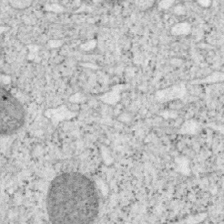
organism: Mouse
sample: OT-I killer T cells with ID8 ovarian cancer cells